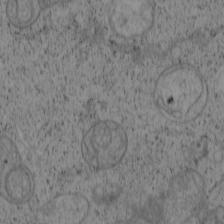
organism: African green monkey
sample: COS-7 cells